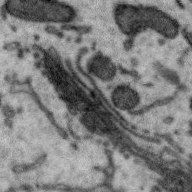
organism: Zebra finch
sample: Brain